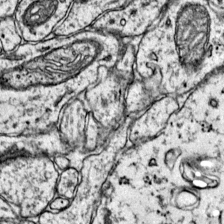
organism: Mouse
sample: Primary visual cortex